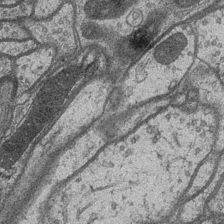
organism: Drosophila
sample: Optic medulla